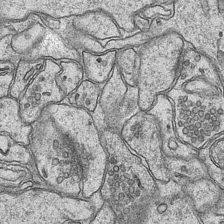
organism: Mouse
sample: CA1 Hippocampus